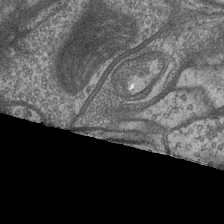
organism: Drosophila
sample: Optic medulla